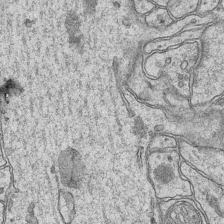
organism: Mouse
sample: CA1 Hippocampus